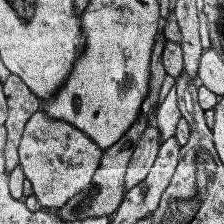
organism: Human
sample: Temporal Lobe